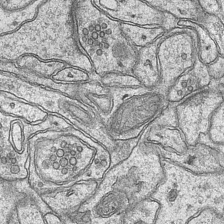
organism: Mouse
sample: CA1 Hippocampus